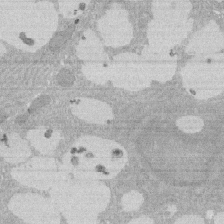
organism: Rat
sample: Salivary granule